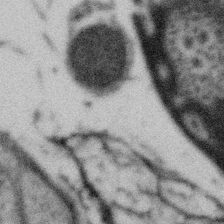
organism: Gemmata obscuriglobus